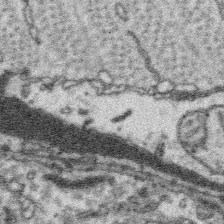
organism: Platynereis dumerilii